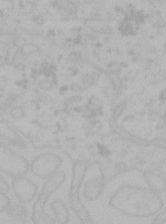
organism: Mouse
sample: Choroid plexus